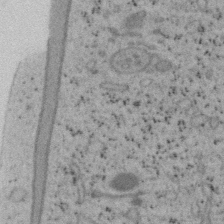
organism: Human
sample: HeLa cells